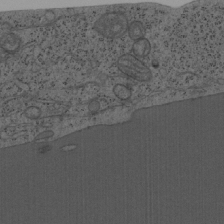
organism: Human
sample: HeLa cells